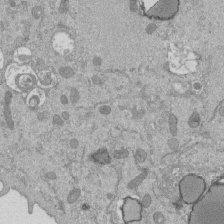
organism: Mouse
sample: ED-1 cell nuclei; centrioles